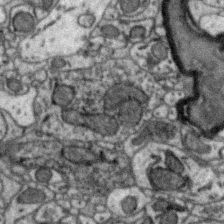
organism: Zebra finch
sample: Brain